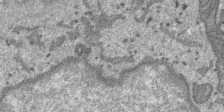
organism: Human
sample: Lung epithelial cells infected with SARS-CoV-2